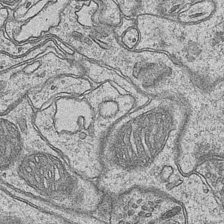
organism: Mouse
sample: CA1 Hippocampus